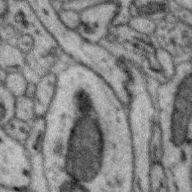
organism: Zebra finch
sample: Brain